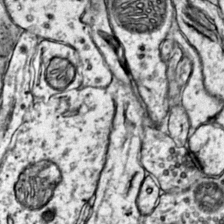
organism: Mouse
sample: Primary visual cortex